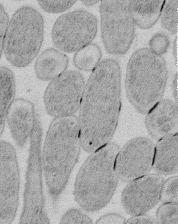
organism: E. coli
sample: Bacterial nucleoid